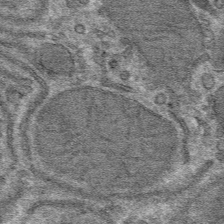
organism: Mouse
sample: Mouse hepatocytes